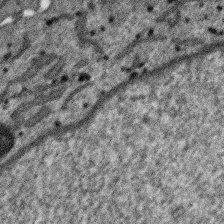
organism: Human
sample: Lung epithelial cells infected with SARS-CoV-2